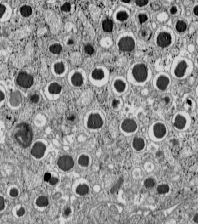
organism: C57BL Mouse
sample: Pancreatic islet